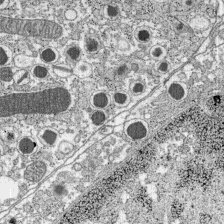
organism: C57BL Mouse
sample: Pancreatic islet